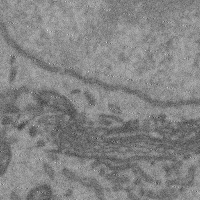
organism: Mouse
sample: Cerebral cortex